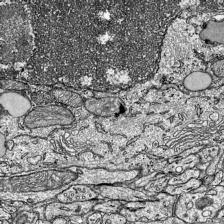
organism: Mouse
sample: Visual Cortex